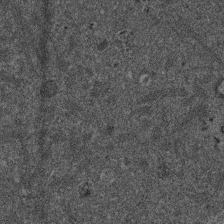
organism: Mouse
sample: Dividing mouse embryo 1 cell stage